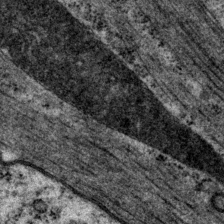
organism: P. pacificus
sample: Pharynx